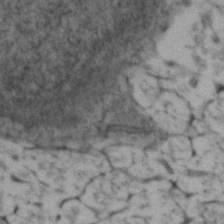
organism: Zebrafish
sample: Zebrafish embryo